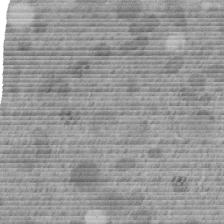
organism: C. elegans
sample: C. elegans embryo early stage